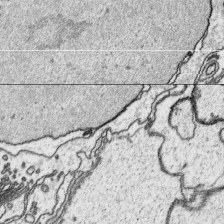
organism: Platynereis dumerilii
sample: Parapodia